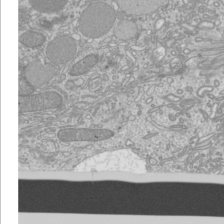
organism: Mouse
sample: Cilia; mouse epididymis